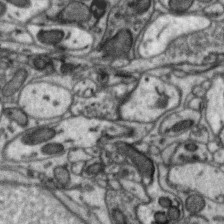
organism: Zebra finch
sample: Brain